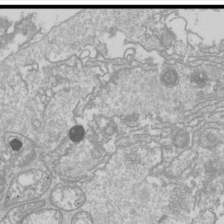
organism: Drosophila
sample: Cell division; meiosis; drosophila spermatocytes